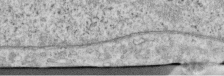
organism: Human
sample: Centriole in RPE cells